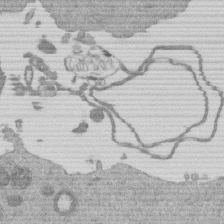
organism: Mouse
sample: Dividing mouse embryo 1 cell stage